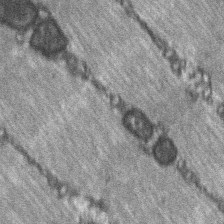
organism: C57BL Mouse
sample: Soleus